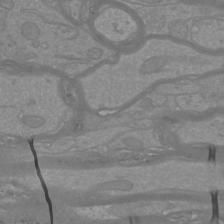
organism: Mouse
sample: Cortical neurons